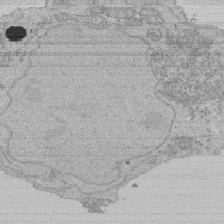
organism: Human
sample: Activated Jurkat CD4+ T cells